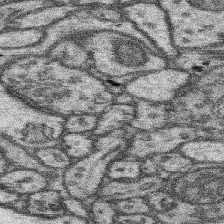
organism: Mouse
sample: Somatosensory cortex neuropil